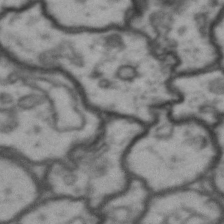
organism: Drosophila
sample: Brain